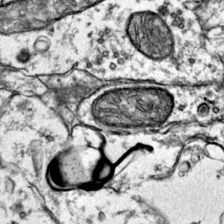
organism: Mouse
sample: Primary visual cortex